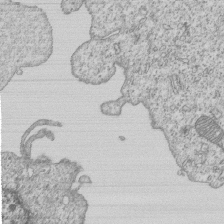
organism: Human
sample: MDA-MB-231 cells